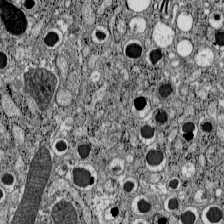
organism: C57BL Mouse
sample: Pancreatic islet